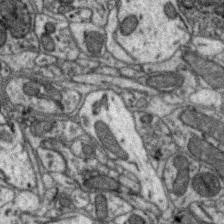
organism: Zebra finch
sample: Brain